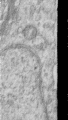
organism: Human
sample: Centriole in RPE cells